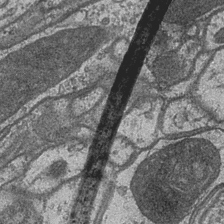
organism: Drosophila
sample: Optic medulla